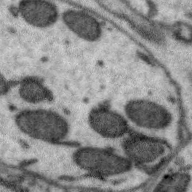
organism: Zebra finch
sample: Brain